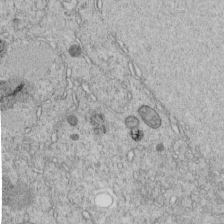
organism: C. elegans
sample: C. elegans embryo early stage